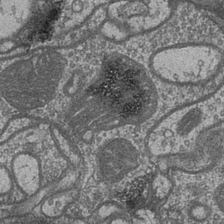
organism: Drosophila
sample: Optic medulla